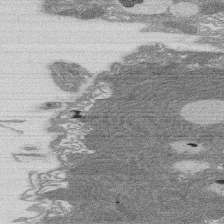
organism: Rat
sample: Salivary granule